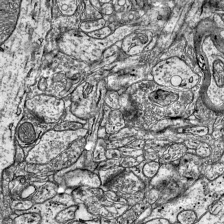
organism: Mouse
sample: Visual Cortex